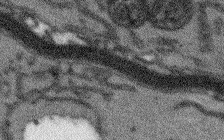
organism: Arabidopsis thaliana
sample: Root tip